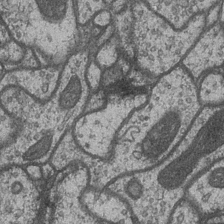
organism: Drosophila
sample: Optic medulla